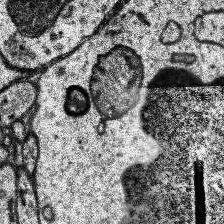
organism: Human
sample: Temporal Lobe